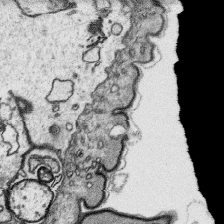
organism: Platynereis dumerilii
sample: Parapodia